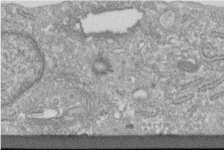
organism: Human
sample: Centriole in fibroblast cells